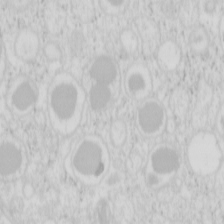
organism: Mouse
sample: Pancreas